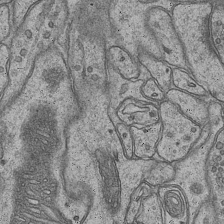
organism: Mouse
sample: CA1 Hippocampus